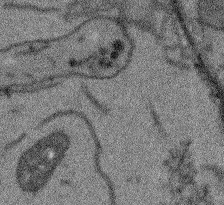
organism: Arabidopsis thaliana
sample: Root tip